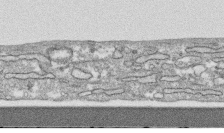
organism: Human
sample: CRL-1474